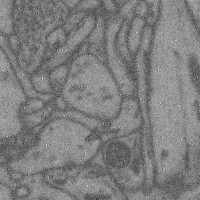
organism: Mouse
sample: Cerebral cortex